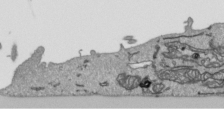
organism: Human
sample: Mitochondria in HCT116 cells